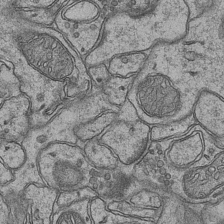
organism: Mouse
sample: CA1 Hippocampus